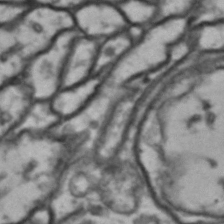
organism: Drosophila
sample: Brain